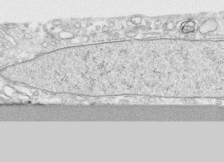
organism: Human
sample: CRL-1474